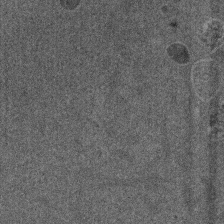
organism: Mouse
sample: Dividing mouse embryo 1 cell stage